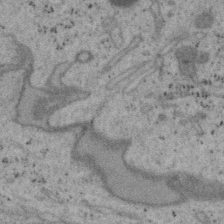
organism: Human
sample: HeLa cells